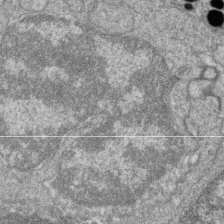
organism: Zebrafish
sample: Cilia; retinal pigment epithelium